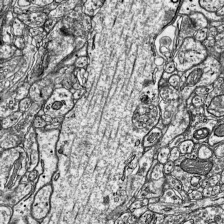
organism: Mouse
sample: Visual Cortex